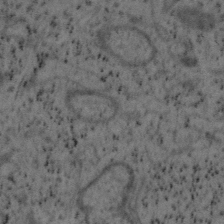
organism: Human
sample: HeLa cells